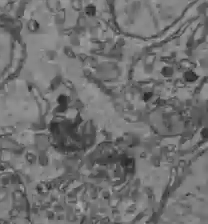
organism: C57BL Mouse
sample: Liver